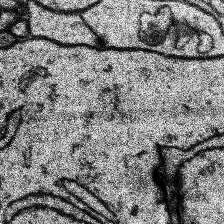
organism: Human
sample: Temporal Lobe